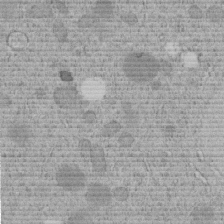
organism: C. elegans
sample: C. elegans embryo early stage